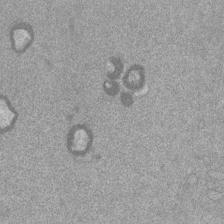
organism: Mouse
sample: Dividing mouse embryo 1 cell stage